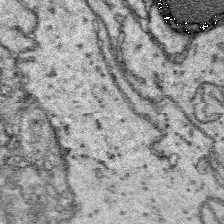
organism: Platynereis dumerilii